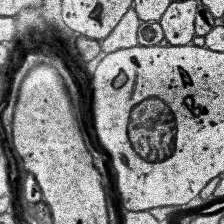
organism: Human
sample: Temporal Lobe